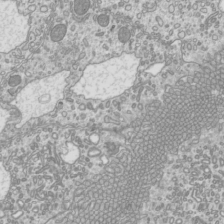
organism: Mouse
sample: Cilia; mouse epididymis